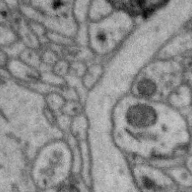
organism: Zebra finch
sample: Brain